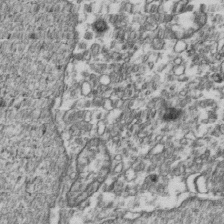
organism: Human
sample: Activated Jurkat CD4+ T cells